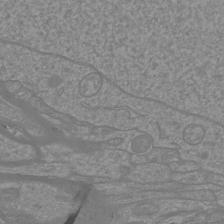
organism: Mouse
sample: Cortical neurons